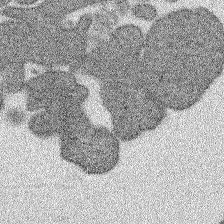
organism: Human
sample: HeLa cells